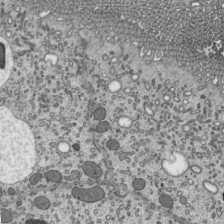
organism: Mouse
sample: Mouse epididymis efferent ductule cilia